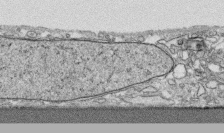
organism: Human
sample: CRL-1474